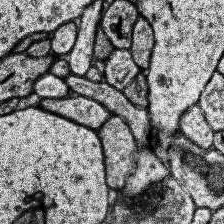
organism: Human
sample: Temporal Lobe